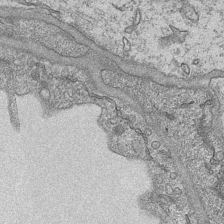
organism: Mouse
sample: CA1 Hippocampus